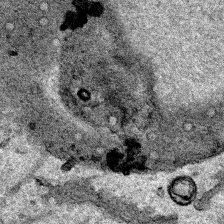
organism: Human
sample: Mitochondria in HCT116 cells